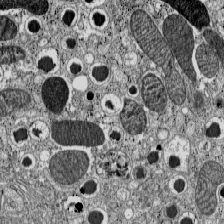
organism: C57BL Mouse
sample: Pancreatic islet